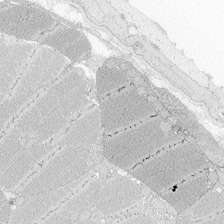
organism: Zebrafish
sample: Whole-Brain